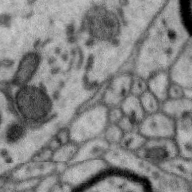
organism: Zebra finch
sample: Brain